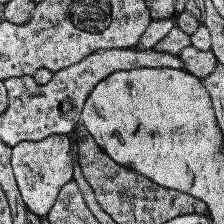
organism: Human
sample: Temporal Lobe